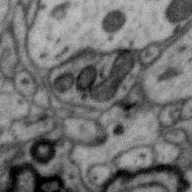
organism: Zebra finch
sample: Brain